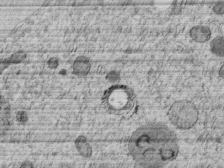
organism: C. elegans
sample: C. elegans embryo early stage